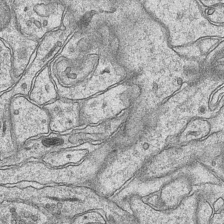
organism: Mouse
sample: CA1 Hippocampus